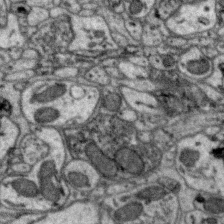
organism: Zebra finch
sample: Brain